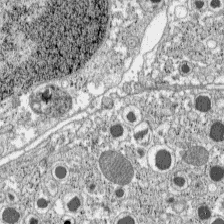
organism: C57BL Mouse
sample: Pancreatic islet